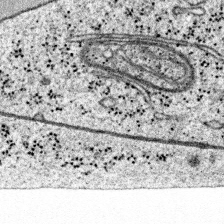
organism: Human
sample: HeLa cells